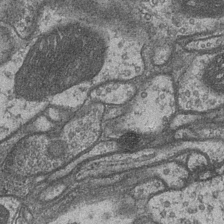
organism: Drosophila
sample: Optic medulla